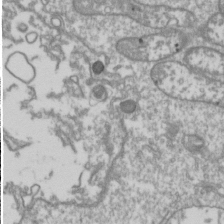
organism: Drosophila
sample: Cell division; meiosis; drosophila spermatocytes